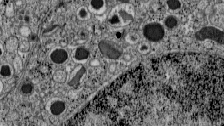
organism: C57BL Mouse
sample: Pancreatic islet